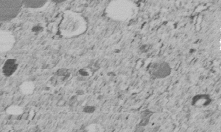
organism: C. elegans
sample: C. elegans embryo early stage